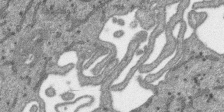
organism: Human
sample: Lung epithelial cells infected with SARS-CoV-2